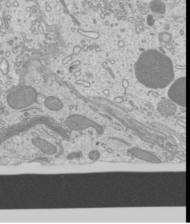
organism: Mouse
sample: Cilia; mouse epididymis